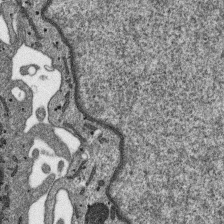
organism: Human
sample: Lung epithelial cells infected with SARS-CoV-2